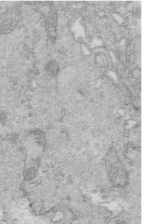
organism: Mouse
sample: Multiciliated cells